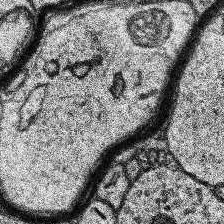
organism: Human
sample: Temporal Lobe